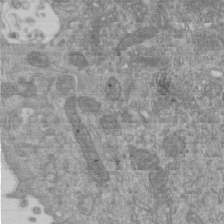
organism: Mouse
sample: ED-1 cell nuclei; centrioles